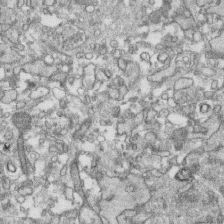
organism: Human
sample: CRL-1474